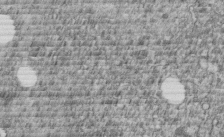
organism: C. elegans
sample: C. elegans embryo early stage